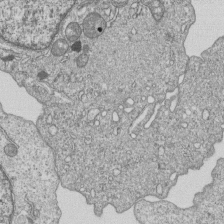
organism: Human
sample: MDA-MB-231 cells